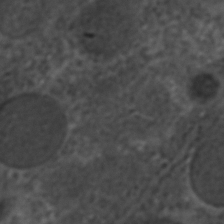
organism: C. elegans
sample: C. elegans embryo